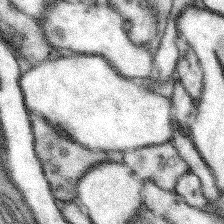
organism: Mouse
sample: Somatosensory cortex neuropil